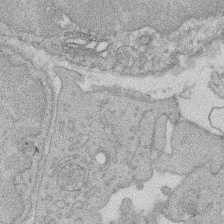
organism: Rat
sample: Salivary granule